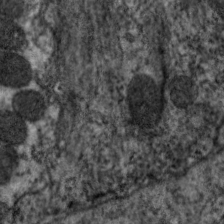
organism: C. elegans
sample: Pharynx